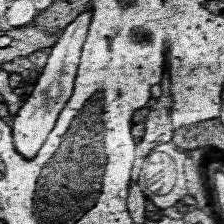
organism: Human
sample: Temporal Lobe